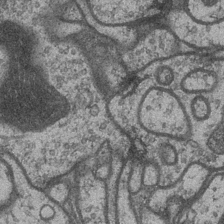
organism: Drosophila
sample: Optic medulla